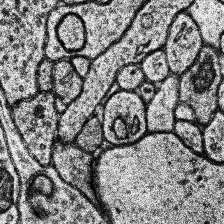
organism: Human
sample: Temporal Lobe